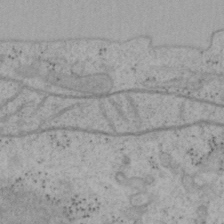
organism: Human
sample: HeLa cells